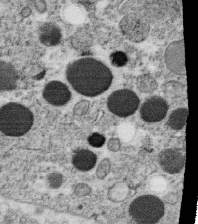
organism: C. elegans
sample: C. elegans oocyte; sperm cells